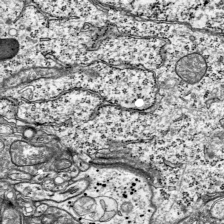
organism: Mouse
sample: Visual Cortex